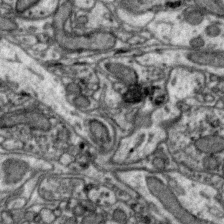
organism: Zebra finch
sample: Brain